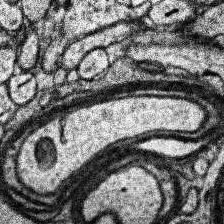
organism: Human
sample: Temporal Lobe